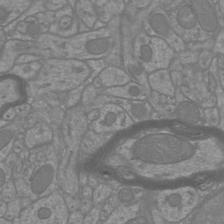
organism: Mouse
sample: Cortical neurons